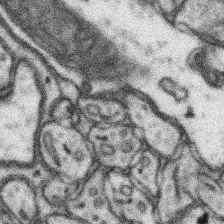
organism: Mouse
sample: Somatosensory cortex neuropil